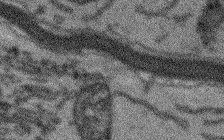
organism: Arabidopsis thaliana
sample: Root tip